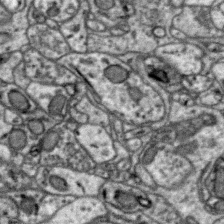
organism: Zebra finch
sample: Brain